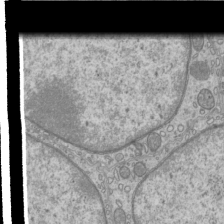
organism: Mouse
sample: Cilia; mouse epididymis